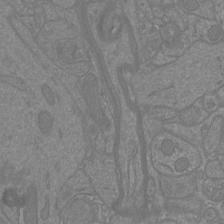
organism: Mouse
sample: Cortical neurons